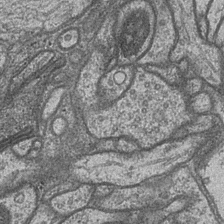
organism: Drosophila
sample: Optic medulla